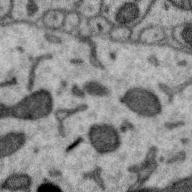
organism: Zebra finch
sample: Brain